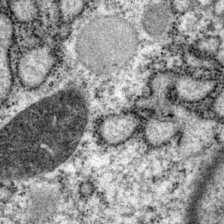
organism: P. pacificus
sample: Pharynx